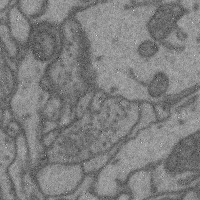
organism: Mouse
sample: Cerebral cortex